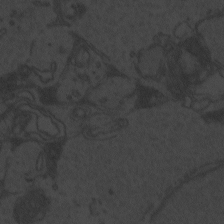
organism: Zebrafish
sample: Macrophage infected with Toxoplasma gondii